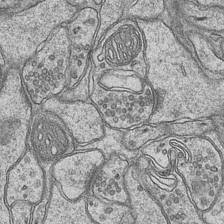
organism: Mouse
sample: CA1 Hippocampus